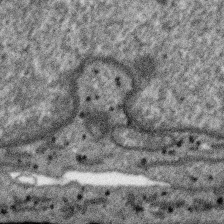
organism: Human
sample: Lung epithelial cells infected with SARS-CoV-2